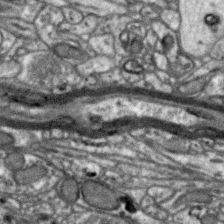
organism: Zebra finch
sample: Brain